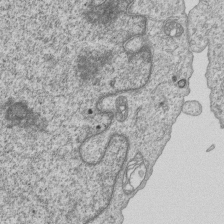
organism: Human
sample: MDA-MB-231 cells